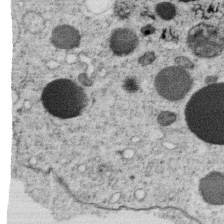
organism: C. elegans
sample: C. elegans oocyte; sperm cells